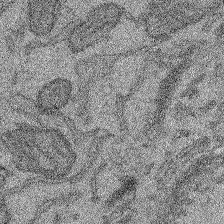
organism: Human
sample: HeLa cells